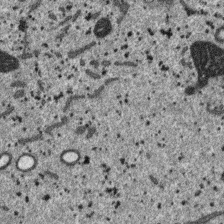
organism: Human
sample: Lung epithelial cells infected with SARS-CoV-2